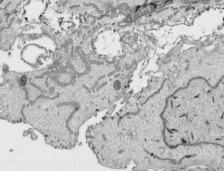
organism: Human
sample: Mitochondria in HCT116 cells